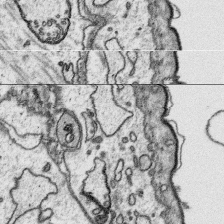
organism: Platynereis dumerilii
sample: Parapodia